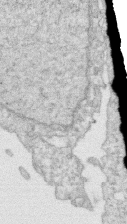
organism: Human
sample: HeLa cell HIV synapse